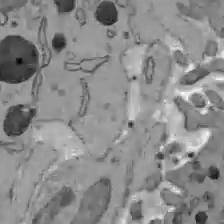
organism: C57BL Mouse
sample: Liver